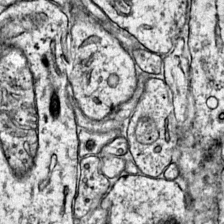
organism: Mouse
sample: Primary visual cortex